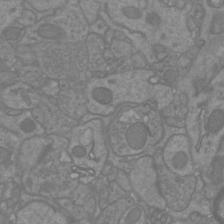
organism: Mouse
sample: Cortical neurons